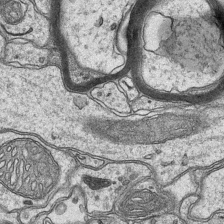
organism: Mouse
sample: CA1 Hippocampus